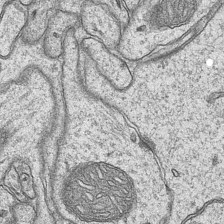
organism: Mouse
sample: CA1 Hippocampus